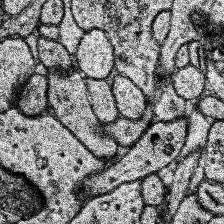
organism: Human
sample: Temporal Lobe